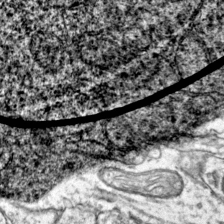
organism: Mouse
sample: Primary visual cortex